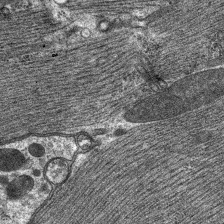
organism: C. elegans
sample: Pharynx